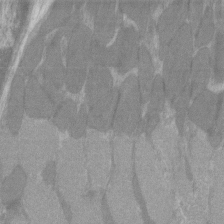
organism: C57BL Mouse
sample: Tibialis anterior muscle cell